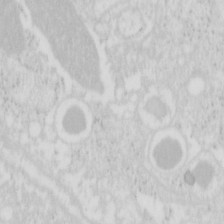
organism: Mouse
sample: Pancreas